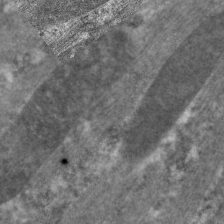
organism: C. elegans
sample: Pharynx